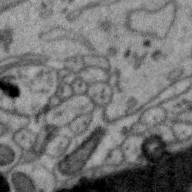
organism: Zebra finch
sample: Brain